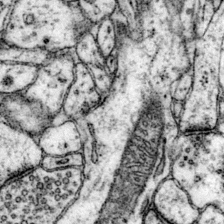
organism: Mouse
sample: Primary visual cortex